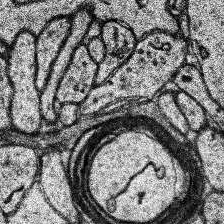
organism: Human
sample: Temporal Lobe